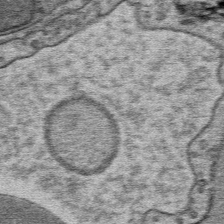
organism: Mouse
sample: Mouse Salivary gland